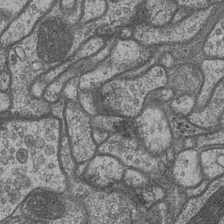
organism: Drosophila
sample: Optic medulla